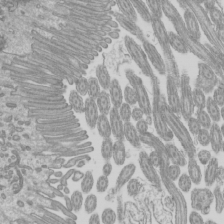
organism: Mouse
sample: Cilia; mouse epididymis